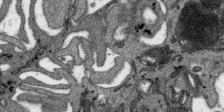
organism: Human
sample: Lung epithelial cells, uninfected (mock) control